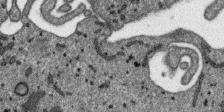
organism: Human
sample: Lung epithelial cells infected with SARS-CoV-2